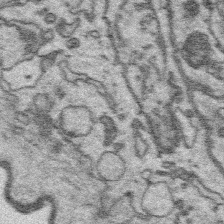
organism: Platynereis dumerilii